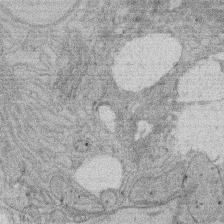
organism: Rat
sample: Salivary granule